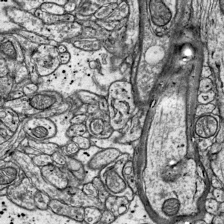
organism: Mouse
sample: Visual Cortex